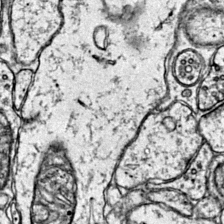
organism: Mouse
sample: Primary visual cortex